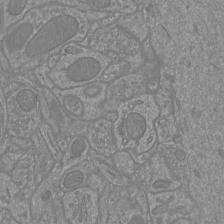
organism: Mouse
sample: Cortical neurons